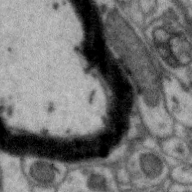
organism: Zebra finch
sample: Brain